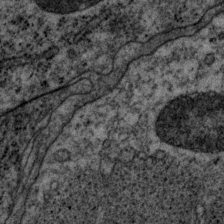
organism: P. pacificus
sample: Pharynx